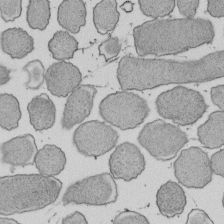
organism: E. coli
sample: Bacterial nucleoid